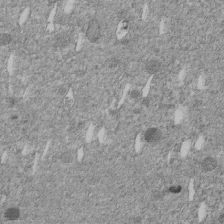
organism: C. elegans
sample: C. elegans embryo early stage